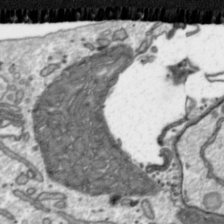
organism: Toxoplasma gondii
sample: Parasites in a vacuole inside a host cell